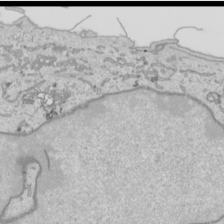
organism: Human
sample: Mitochondria in HCT116 cells